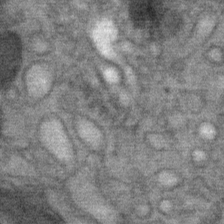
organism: Mouse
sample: Mouse Salivary gland